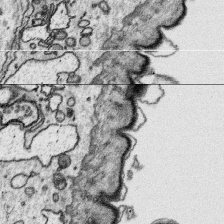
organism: Platynereis dumerilii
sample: Parapodia